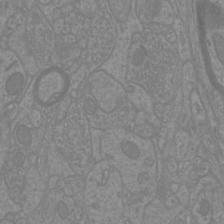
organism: Mouse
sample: Cortical neurons